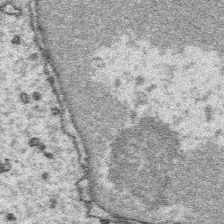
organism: Platynereis dumerilii